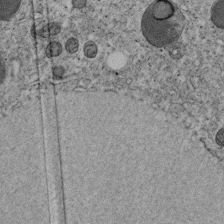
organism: C. elegans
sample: C. elegans embryo early stage